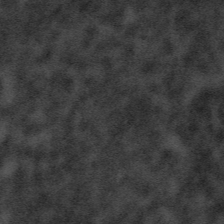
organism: Tuwongella immobilis